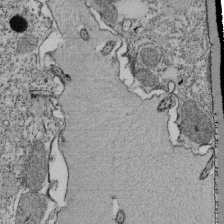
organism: Tetrahymena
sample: Cilia in tetrahymena